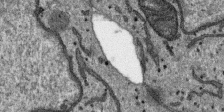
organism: Human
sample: Lung epithelial cells, uninfected (mock) control